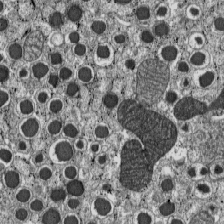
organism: C57BL Mouse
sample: Pancreatic islet